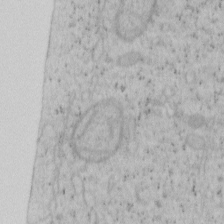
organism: Human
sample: HeLa cells